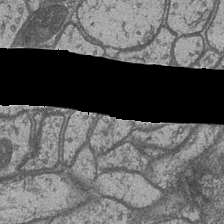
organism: Drosophila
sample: Optic medulla